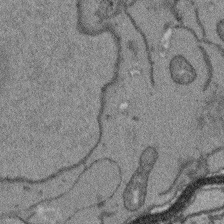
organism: Arabidopsis thaliana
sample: Root tip